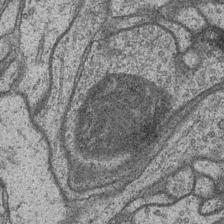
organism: Drosophila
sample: Optic medulla